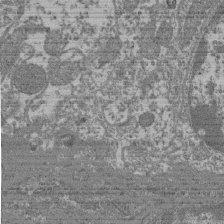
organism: Mouse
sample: Glomerulus